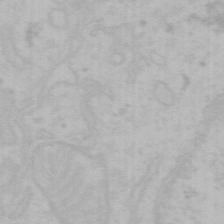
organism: Mouse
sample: Choroid plexus